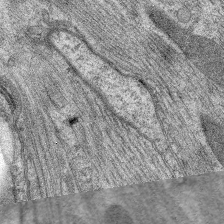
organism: C. elegans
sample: Pharynx